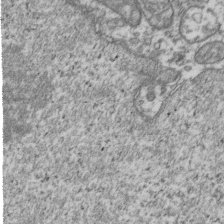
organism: Human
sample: Activated Jurkat CD4+ T cells